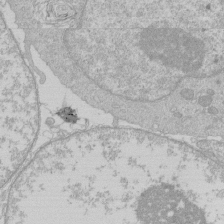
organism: Human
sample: Macrophage cells